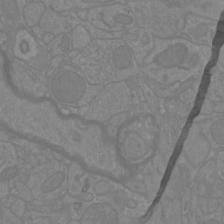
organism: Mouse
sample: Cortical neurons